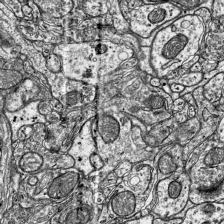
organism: Mouse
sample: Visual Cortex